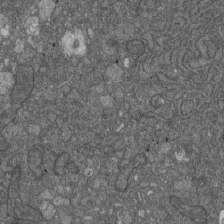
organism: Drosophila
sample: Nephrocyte